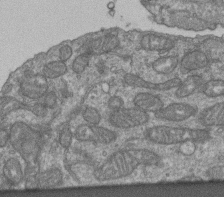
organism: Human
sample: Retinal organoid Rod and Cone cells